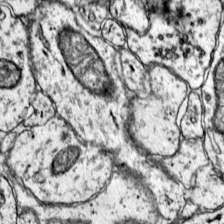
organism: Mouse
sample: Primary visual cortex